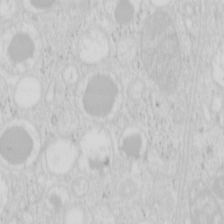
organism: Mouse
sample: Pancreas